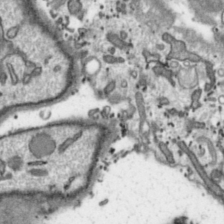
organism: Toxoplasma gondii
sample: Parasites in a vacuole inside a host cell